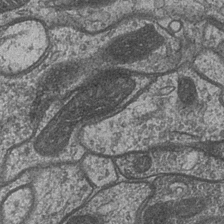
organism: Drosophila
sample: Optic medulla